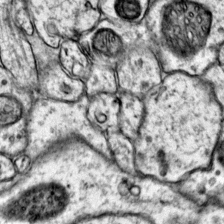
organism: Mouse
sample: Primary visual cortex